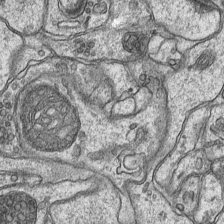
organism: Mouse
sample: CA1 Hippocampus